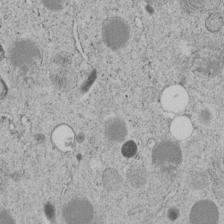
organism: C. elegans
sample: C. elegans embryo early stage